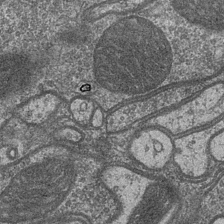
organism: Drosophila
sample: Optic medulla